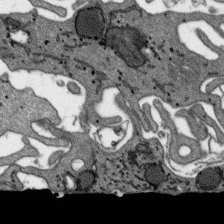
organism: Human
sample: Lung epithelial cells, uninfected (mock) control